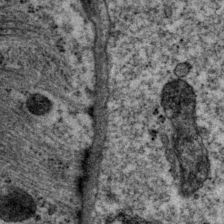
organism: P. pacificus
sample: Pharynx